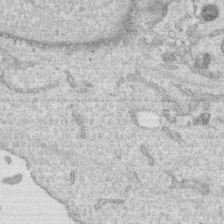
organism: Human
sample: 1205lu cells